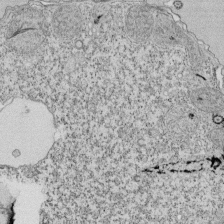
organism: Tetrahymena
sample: Cilia in tetrahymena